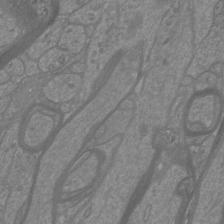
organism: Mouse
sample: Cortical neurons